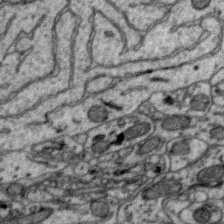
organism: Zebra finch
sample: Brain